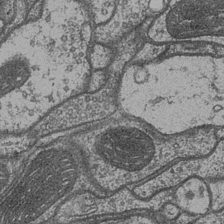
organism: Drosophila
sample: Optic medulla